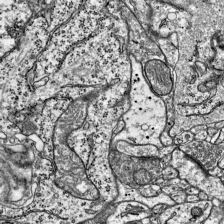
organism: Mouse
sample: Visual Cortex